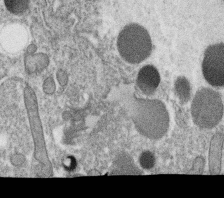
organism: C. elegans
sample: C. elegans oocyte; sperm cells